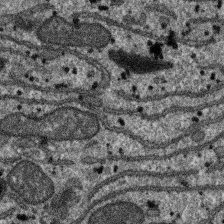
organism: Human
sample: Lung epithelial cells infected with SARS-CoV-2